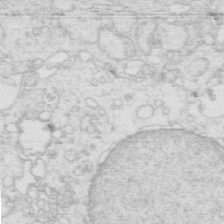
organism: Mouse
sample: Multiciliated cells